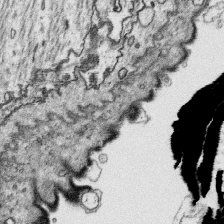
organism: Platynereis dumerilii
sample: Parapodia